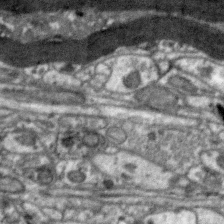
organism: Zebra finch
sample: Brain